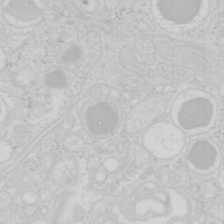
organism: Mouse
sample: Pancreas